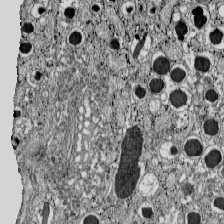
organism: C57BL Mouse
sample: Pancreatic islet